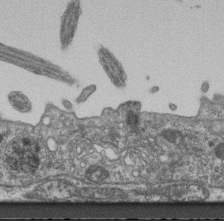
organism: Mouse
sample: Centriole in ependymal cells